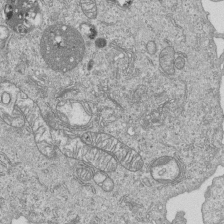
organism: Human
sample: MDA-MB-231 cells